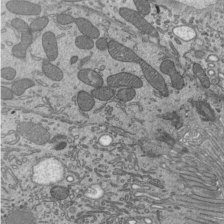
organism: Mouse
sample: Mouse epididymis efferent ductule cilia